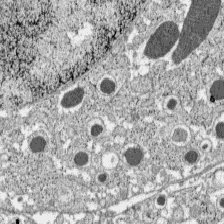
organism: C57BL Mouse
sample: Pancreatic islet